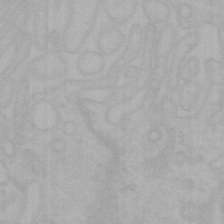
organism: Mouse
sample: Choroid plexus